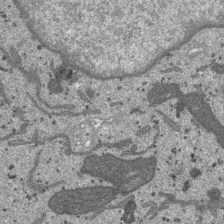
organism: Human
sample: Lung epithelial cells infected with SARS-CoV-2